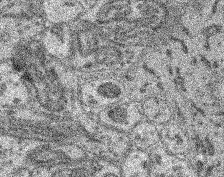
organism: Mouse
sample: Retina